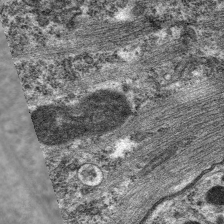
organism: C. elegans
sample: Pharynx